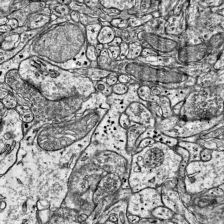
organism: Mouse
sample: Visual Cortex